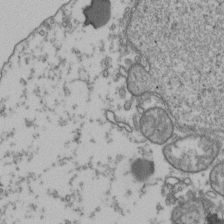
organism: Human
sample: Activated Jurkat CD4+ T cells